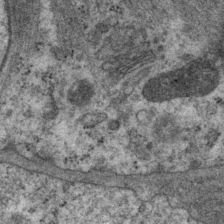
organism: P. pacificus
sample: Pharynx